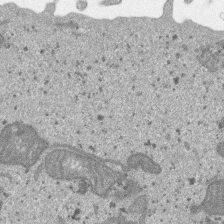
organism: Human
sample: Lung epithelial cells infected with SARS-CoV-2